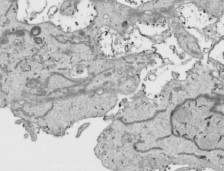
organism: Human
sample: Mitochondria in HCT116 cells